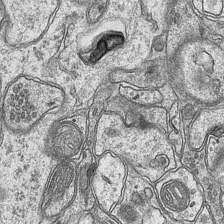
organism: Mouse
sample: CA1 Hippocampus